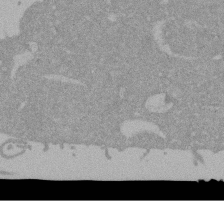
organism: Mouse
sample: ED-1 cell nuclei; centrioles